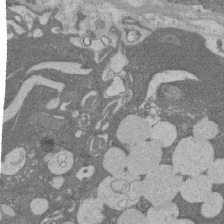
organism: Rat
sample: Salivary granule